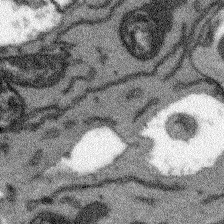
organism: Arabidopsis thaliana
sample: Root tip